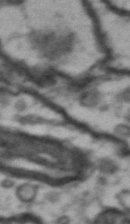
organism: Drosophila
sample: Brain